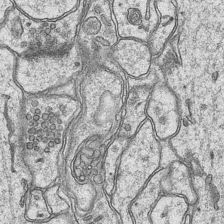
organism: Mouse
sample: CA1 Hippocampus